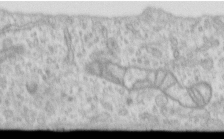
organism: Human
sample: Centriole in RPE cells